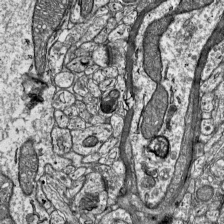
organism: Mouse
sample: Visual Cortex